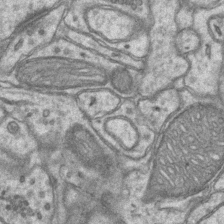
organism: Mouse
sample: CA1 Hippocampus